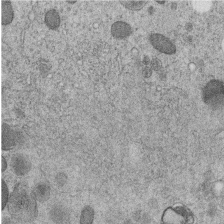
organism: C. elegans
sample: C. elegans embryo early stage